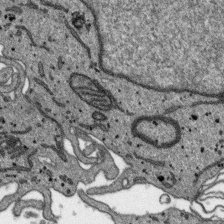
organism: Human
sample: Lung epithelial cells, uninfected (mock) control